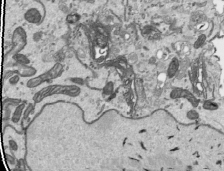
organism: Human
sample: Mitochondria in HCT116 cells